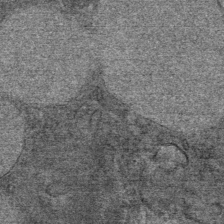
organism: Mouse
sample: Mouse Salivary gland